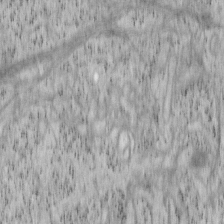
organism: Human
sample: HeLa cells